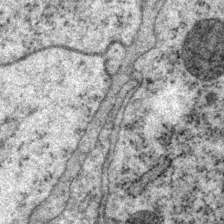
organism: P. pacificus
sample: Pharynx